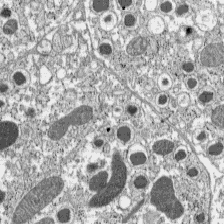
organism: C57BL Mouse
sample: Pancreatic islet